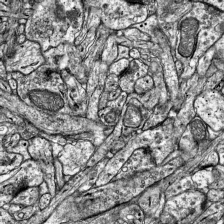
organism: Mouse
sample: Visual Cortex